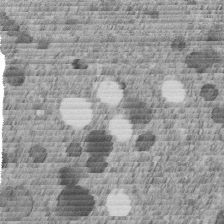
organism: C. elegans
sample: C. elegans embryo early stage